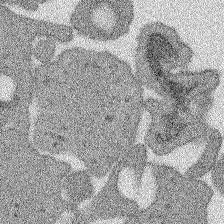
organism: Human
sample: HeLa cells